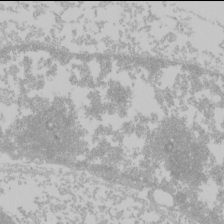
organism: Mouse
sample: Cancer cell death in ED-1 cells